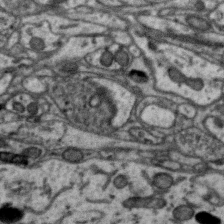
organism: Zebra finch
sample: Brain